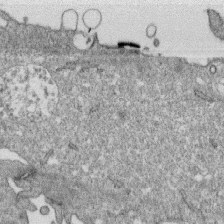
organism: African green monkey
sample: Vero E6 cells infected with SARS-CoV-2